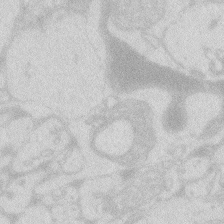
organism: Zebrafish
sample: Macrophage